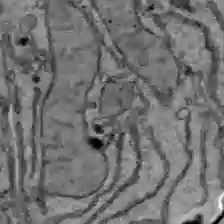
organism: C57BL Mouse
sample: Liver